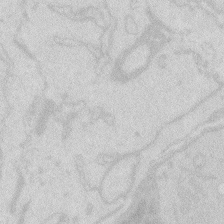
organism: Zebrafish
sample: Macrophage